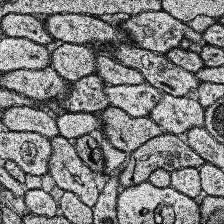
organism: Human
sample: Temporal Lobe